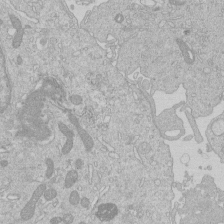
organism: Human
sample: Macrophage cells